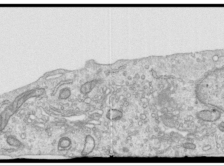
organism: Human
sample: Centriole in RPE cells